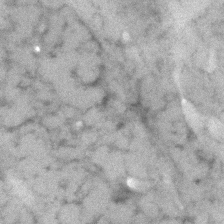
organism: Human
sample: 1205lu cells